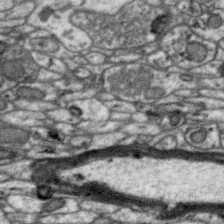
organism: Zebra finch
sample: Brain